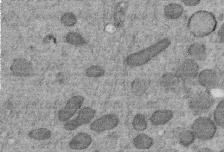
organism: C. elegans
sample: C. elegans embryo early stage